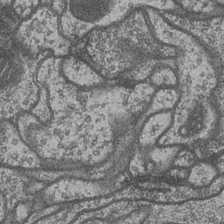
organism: Drosophila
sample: Optic medulla